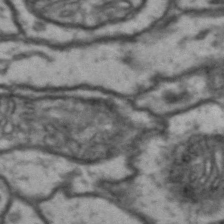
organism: Drosophila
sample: Brain